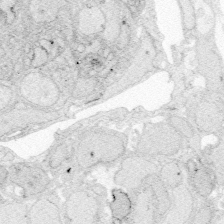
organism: Zebrafish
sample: Whole-Brain